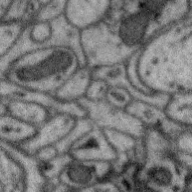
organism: Zebra finch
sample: Brain